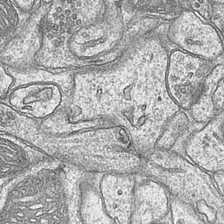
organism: Mouse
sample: CA1 Hippocampus